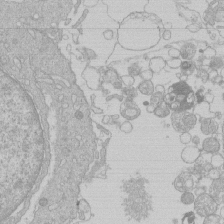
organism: Human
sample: Macrophage cells